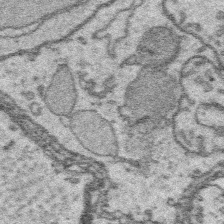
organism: Platynereis dumerilii